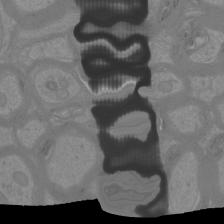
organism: Mouse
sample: Cortical neurons